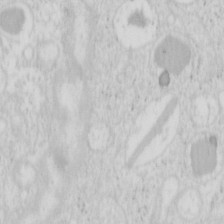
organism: Mouse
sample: Pancreas